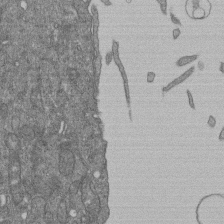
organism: Human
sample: Retinal organoid Rod and Cone cells